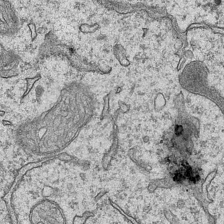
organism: Mouse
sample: CA1 Hippocampus